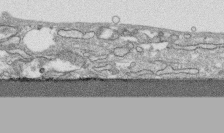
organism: Human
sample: CRL-1474